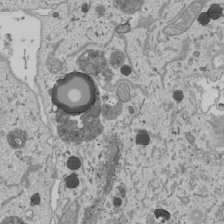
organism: Human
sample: Mitochondria in U2OS cells